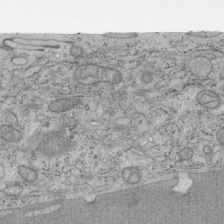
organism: Human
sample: HeLa cells